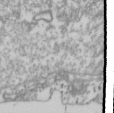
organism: Drosophila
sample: Cell division; meiosis; drosophila spermatocytes